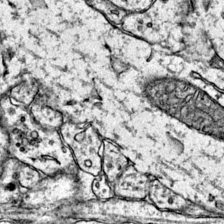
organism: Mouse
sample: Primary visual cortex